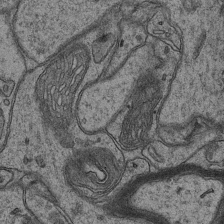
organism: Mouse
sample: CA1 Hippocampus